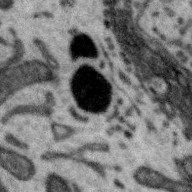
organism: Zebra finch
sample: Brain